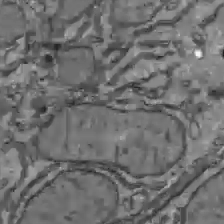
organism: C57BL Mouse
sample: Liver